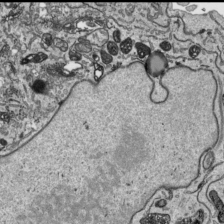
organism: Human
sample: Mitochondria in HCT116 cells